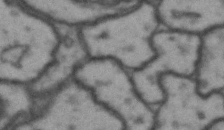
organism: Drosophila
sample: Brain